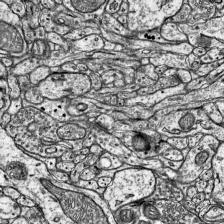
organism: Mouse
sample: Visual Cortex